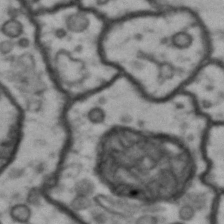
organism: Drosophila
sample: Brain